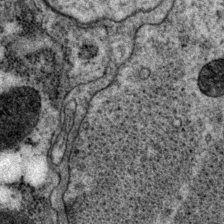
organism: P. pacificus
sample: Pharynx